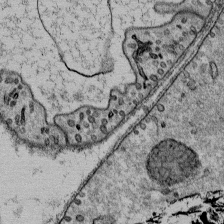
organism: Mouse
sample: Mouse Salivary gland